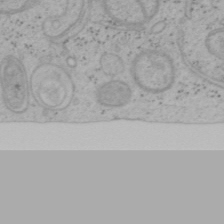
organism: Human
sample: HeLa cells